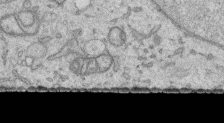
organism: Human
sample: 1205lu cells